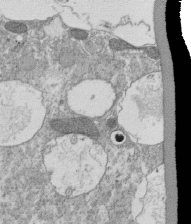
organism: Tetrahymena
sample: Cilia in tetrahymena